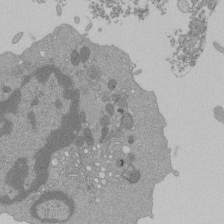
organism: Mouse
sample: Activated Pmel transgenic CD8+ T Cells